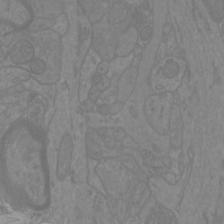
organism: Mouse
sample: Cortical neurons